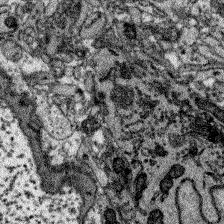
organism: Zebrafish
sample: Larval olfactory bulb